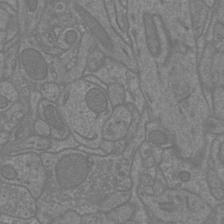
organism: Mouse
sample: Cortical neurons